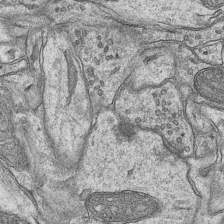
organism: Mouse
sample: CA1 Hippocampus